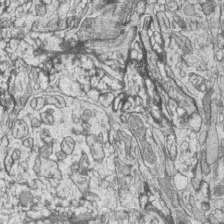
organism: Zebrafish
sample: synaptic ribbons in rod cells and cone cells